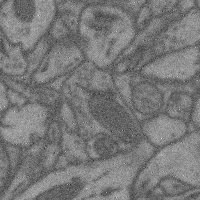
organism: Mouse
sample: Cerebral cortex